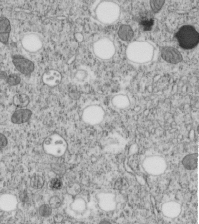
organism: C. elegans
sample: C. elegans embryo early stage